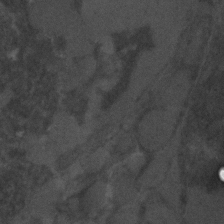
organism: C. elegans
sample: C. elegans embryo